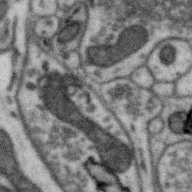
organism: Zebra finch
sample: Brain